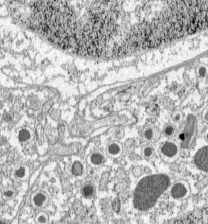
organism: C57BL Mouse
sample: Pancreatic islet